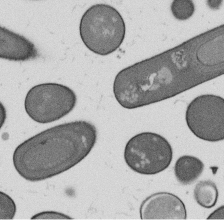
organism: B. subtilis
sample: Bacterial spore